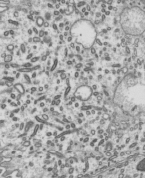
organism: Mouse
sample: Mouse epididymis efferent ductule cilia